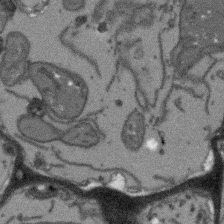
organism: Arabidopsis thaliana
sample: Root tip